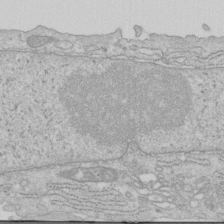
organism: Human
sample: Centriole in RPE cells